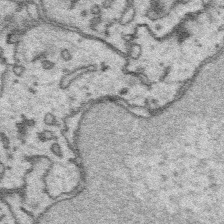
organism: Platynereis dumerilii